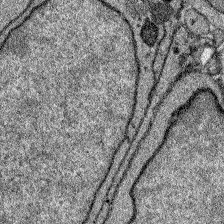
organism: Zebrafish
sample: Larval olfactory bulb